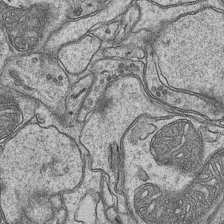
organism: Mouse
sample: CA1 Hippocampus